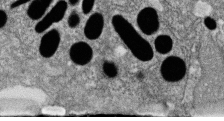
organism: Zebrafish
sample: Cilia; retinal pigment epithelium